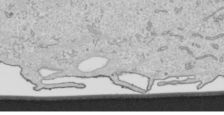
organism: Human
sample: Mitochondria in HCT116 cells